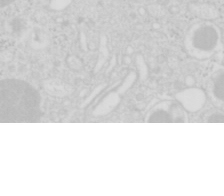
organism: Mouse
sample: Pancreas